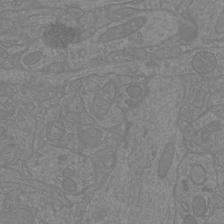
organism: Mouse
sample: Cortical neurons